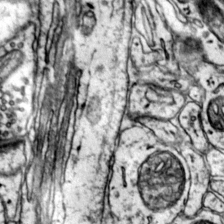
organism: Mouse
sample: Primary visual cortex